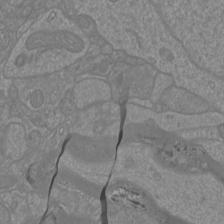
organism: Mouse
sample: Cortical neurons